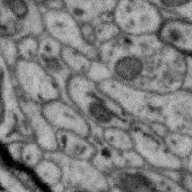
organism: Zebra finch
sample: Brain